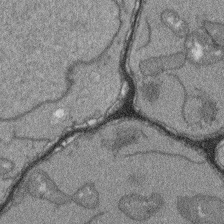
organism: Arabidopsis thaliana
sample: Root tip